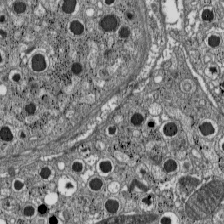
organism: C57BL Mouse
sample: Pancreatic islet